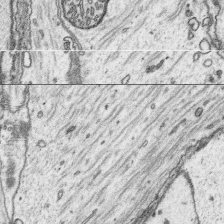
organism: Platynereis dumerilii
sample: Parapodia